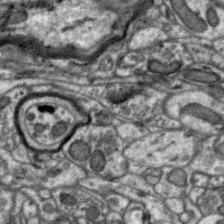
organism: Zebra finch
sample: Brain